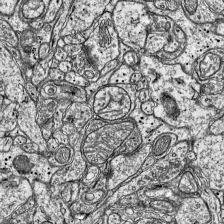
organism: Mouse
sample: Visual Cortex